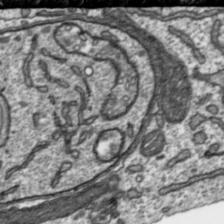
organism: Toxoplasma gondii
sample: Parasites in a vacuole inside a host cell